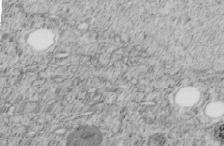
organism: C. elegans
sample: C. elegans embryo early stage